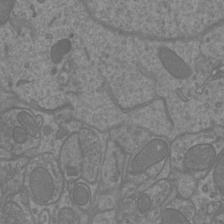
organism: Mouse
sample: Cortical neurons